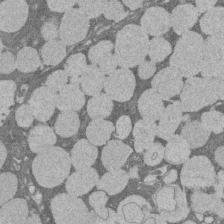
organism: Rat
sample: Salivary granule